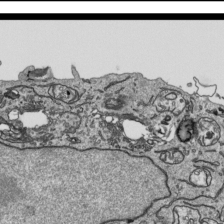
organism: Human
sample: Mitochondria in HCT116 cells